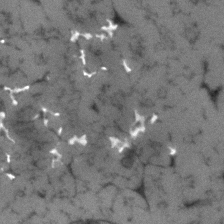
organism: Human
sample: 1205lu cells